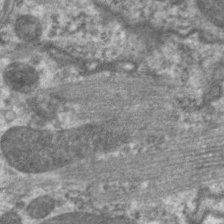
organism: C. elegans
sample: Pharynx